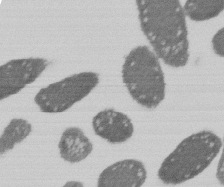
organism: E. coli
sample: Bacterial nucleoid